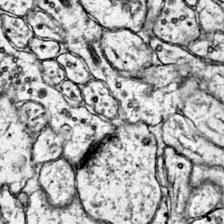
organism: Mouse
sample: Primary visual cortex